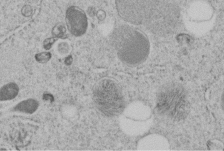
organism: C. elegans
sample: C. elegans embryo early stage